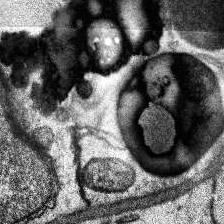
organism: Human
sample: Temporal Lobe